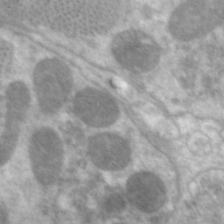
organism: C. elegans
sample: Pharynx